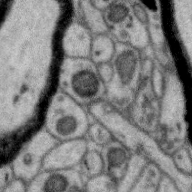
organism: Zebra finch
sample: Brain